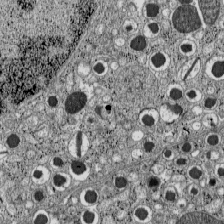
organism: C57BL Mouse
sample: Pancreatic islet